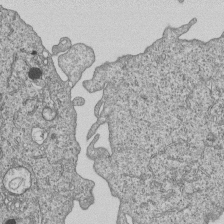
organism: Human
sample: MDA-MB-231 cells